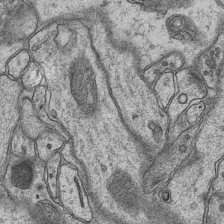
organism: Mouse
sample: CA1 Hippocampus